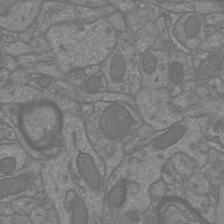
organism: Mouse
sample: Cortical neurons